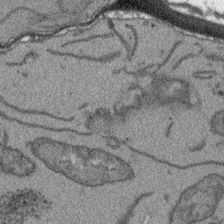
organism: Arabidopsis thaliana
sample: Root tip